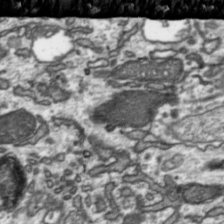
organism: Toxoplasma gondii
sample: Parasites in a vacuole inside a host cell